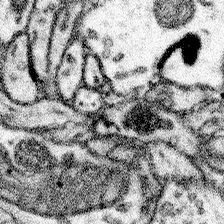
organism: Mouse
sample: Somatosensory cortex neuropil